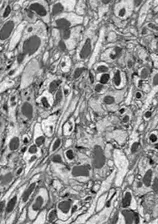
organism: Drosophila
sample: Optic lobe